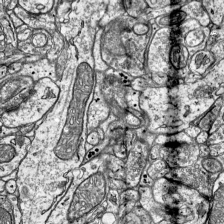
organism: Mouse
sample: Visual Cortex